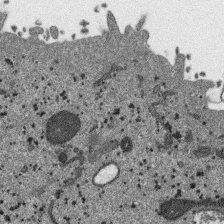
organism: Human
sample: Lung epithelial cells infected with SARS-CoV-2